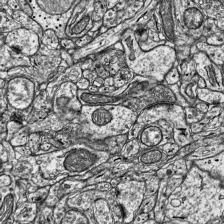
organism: Mouse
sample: Visual Cortex